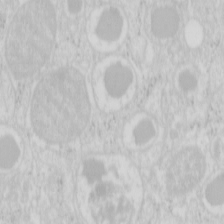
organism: Mouse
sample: Pancreas